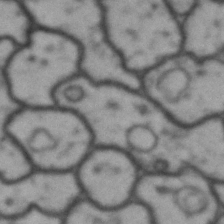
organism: Drosophila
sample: Brain